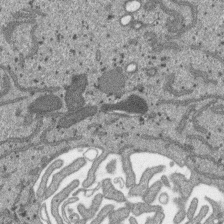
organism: Human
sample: Lung epithelial cells infected with SARS-CoV-2